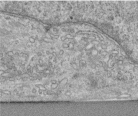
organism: Human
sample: Centriole in RPE cells